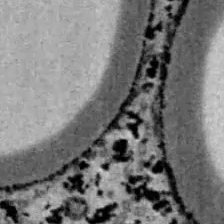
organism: Mouse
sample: Liver from an obese (ob/ob) mouse